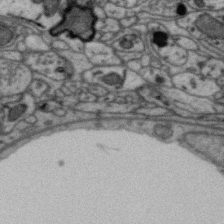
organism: Zebra finch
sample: Brain